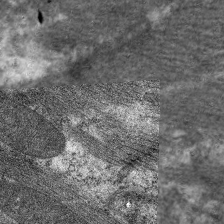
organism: C. elegans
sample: Pharynx